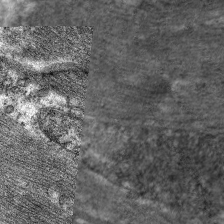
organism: C. elegans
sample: Pharynx